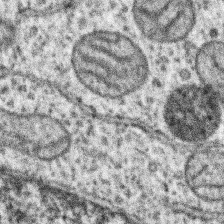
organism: Human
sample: HeLa cells